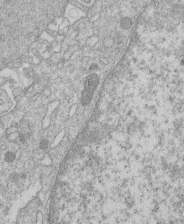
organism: Human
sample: Macrophage cells